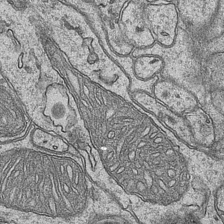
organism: Mouse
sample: CA1 Hippocampus